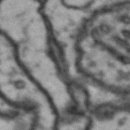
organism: Drosophila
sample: Brain